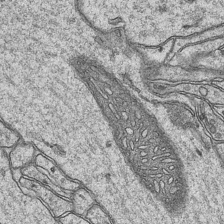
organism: Mouse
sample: CA1 Hippocampus